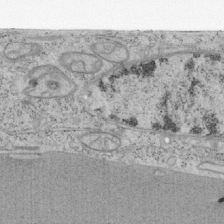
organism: Human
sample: HeLa cells